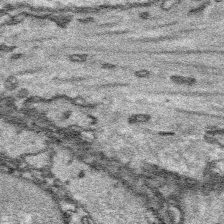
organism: Platynereis dumerilii